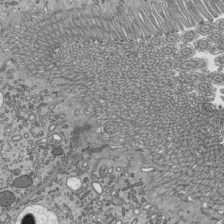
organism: Mouse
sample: Mouse epididymis efferent ductule cilia